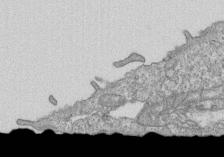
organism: Human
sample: HeLa cell HIV synapse